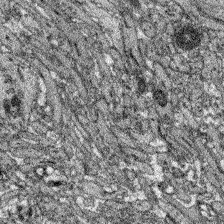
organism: Zebrafish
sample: Larval olfactory bulb